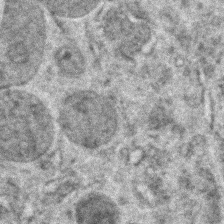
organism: Zebrafish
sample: Zebrafish embryo